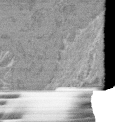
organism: Mouse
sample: Glomerulus